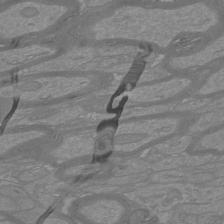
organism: Mouse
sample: Cortical neurons